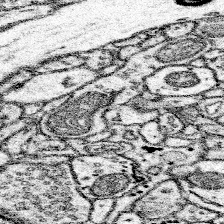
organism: Mouse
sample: Somatosensory cortex neuropil